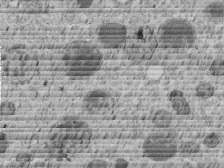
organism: C. elegans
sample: C. elegans embryo early stage